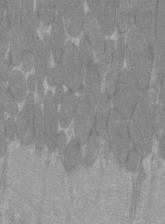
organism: C57BL Mouse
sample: Tibialis anterior muscle cell